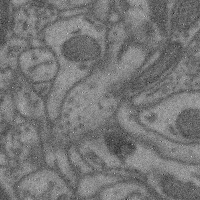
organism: Mouse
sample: Cerebral cortex